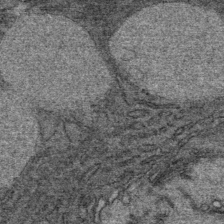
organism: Mouse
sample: Mouse Salivary gland